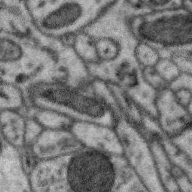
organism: Zebra finch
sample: Brain